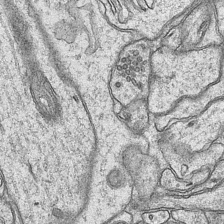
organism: Mouse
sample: CA1 Hippocampus